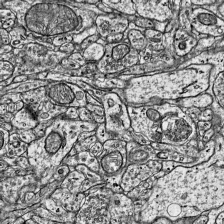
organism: Mouse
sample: Visual Cortex